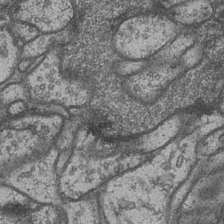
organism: Drosophila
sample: Optic medulla